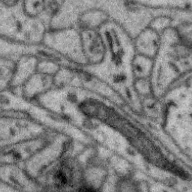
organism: Zebra finch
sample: Brain